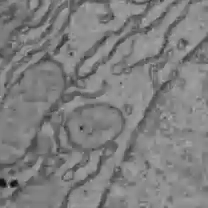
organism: C57BL Mouse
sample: Liver